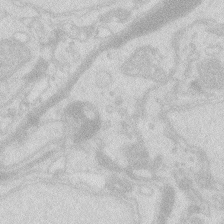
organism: Zebrafish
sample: Macrophage